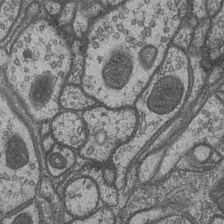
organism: Drosophila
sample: Optic medulla